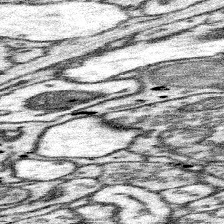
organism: Mouse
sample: Somatosensory cortex neuropil